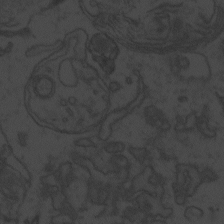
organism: Zebrafish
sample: Macrophage infected with Toxoplasma gondii